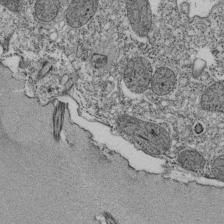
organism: Tetrahymena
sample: Cilia in tetrahymena